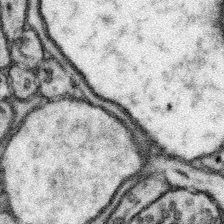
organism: Mouse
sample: Somatosensory cortex neuropil